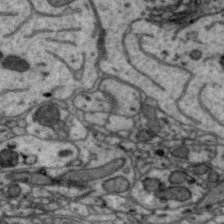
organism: Zebra finch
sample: Brain